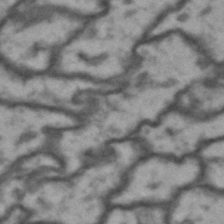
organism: Drosophila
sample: Brain